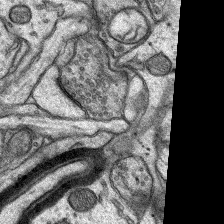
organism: Rat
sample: Hippocampus